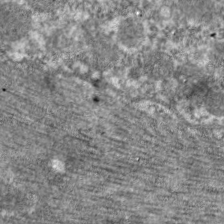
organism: C. elegans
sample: Pharynx